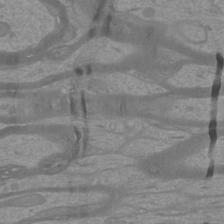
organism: Mouse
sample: Cortical neurons